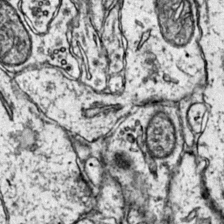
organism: Mouse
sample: Primary visual cortex